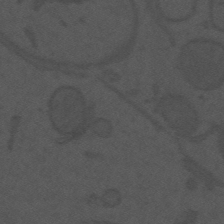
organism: Mouse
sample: Suprachiasmatic nucleus